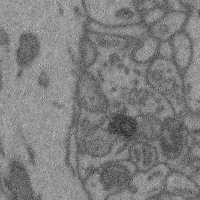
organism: Mouse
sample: Cerebral cortex